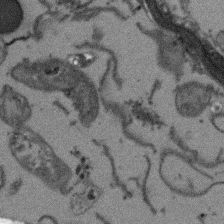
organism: Arabidopsis thaliana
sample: Root tip